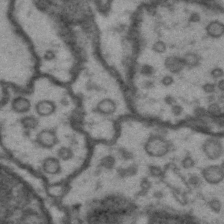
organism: Drosophila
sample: Brain